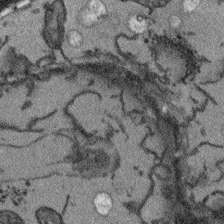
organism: Arabidopsis thaliana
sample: Root tip